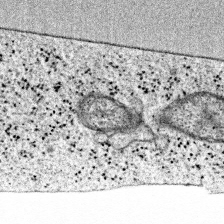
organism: Human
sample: HeLa cells